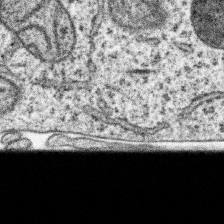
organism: Human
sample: HeLa cells